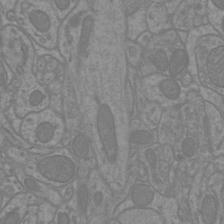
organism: Mouse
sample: Cortical neurons